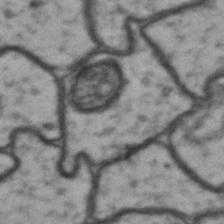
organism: Drosophila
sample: Brain